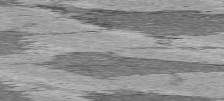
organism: C57BL Mouse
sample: Heart